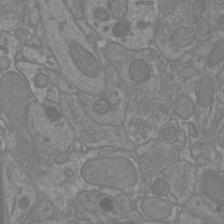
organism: Mouse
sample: Cortical neurons